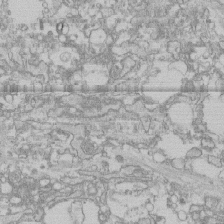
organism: Human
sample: CRL-1474